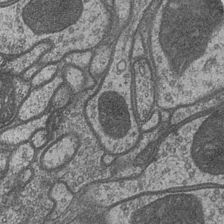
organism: Drosophila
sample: Optic medulla